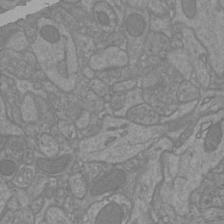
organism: Mouse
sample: Cortical neurons